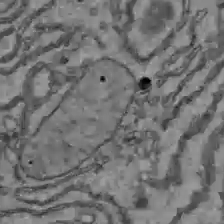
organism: C57BL Mouse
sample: Liver